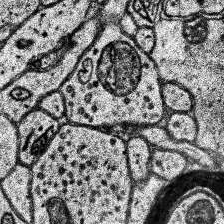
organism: Human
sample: Temporal Lobe